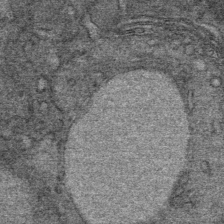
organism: Mouse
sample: Mouse Salivary gland